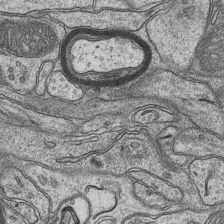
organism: Mouse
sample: CA1 Hippocampus